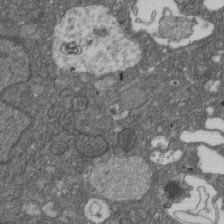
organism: Drosophila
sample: Nephrocyte